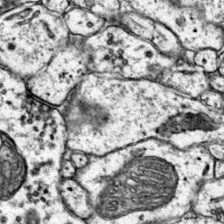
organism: Mouse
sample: Primary visual cortex